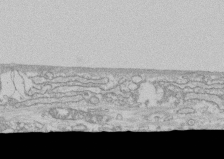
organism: Human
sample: CRL-1474